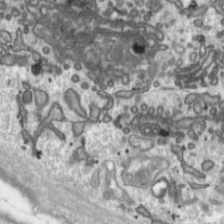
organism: Toxoplasma gondii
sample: Parasites in a vacuole inside a host cell